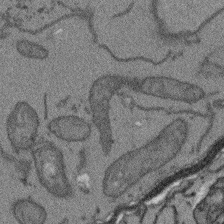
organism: Arabidopsis thaliana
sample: Root tip